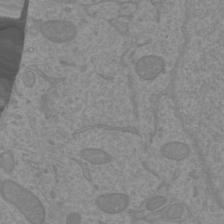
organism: Mouse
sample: Cortical neurons